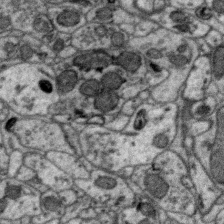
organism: Zebra finch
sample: Brain